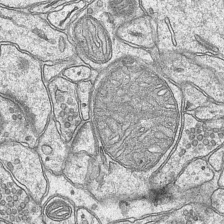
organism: Mouse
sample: CA1 Hippocampus